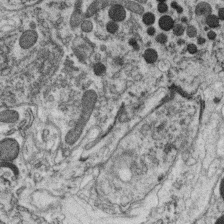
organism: C. elegans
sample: C. elegans oocyte; sperm cells